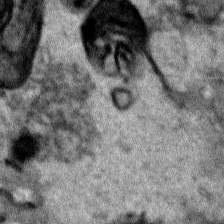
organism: Human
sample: Mitochondria in HCT116 cells